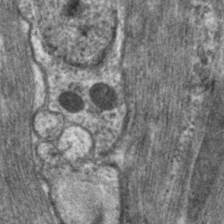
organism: C. elegans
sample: Pharynx